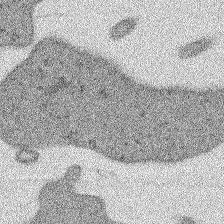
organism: Human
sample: HeLa cells